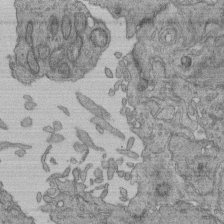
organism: Human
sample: Retinal organoid Rod and Cone cells